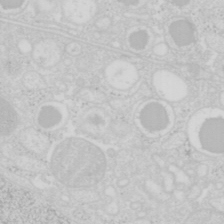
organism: Mouse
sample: Pancreas